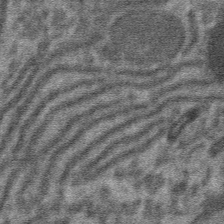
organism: Mouse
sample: Mouse hepatocytes